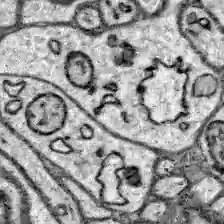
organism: Zebrafish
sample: Brain